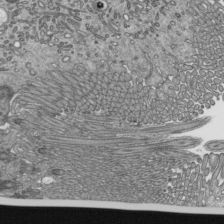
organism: Mouse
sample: Mouse epididymis efferent ductule cilia